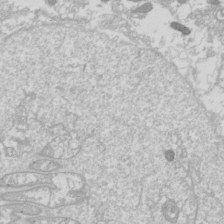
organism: Drosophila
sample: Cell division; meiosis; drosophila spermatocytes